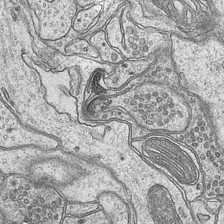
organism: Mouse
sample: CA1 Hippocampus